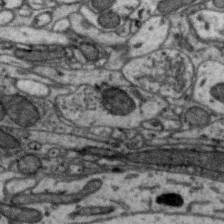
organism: Zebra finch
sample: Brain